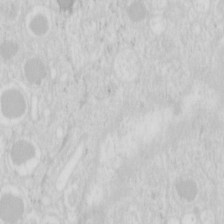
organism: Mouse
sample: Pancreas